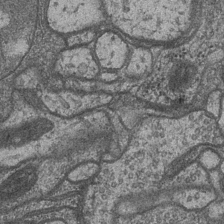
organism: Drosophila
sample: Optic medulla